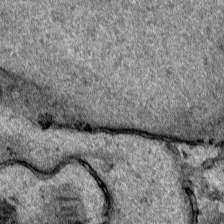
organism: Human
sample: Mitochondria in HCT116 cells